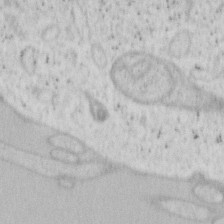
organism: Human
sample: HeLa cells